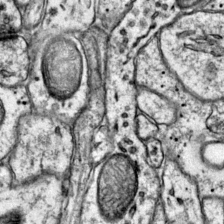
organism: Mouse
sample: Primary visual cortex